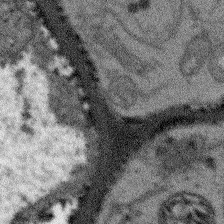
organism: Arabidopsis thaliana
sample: Root tip